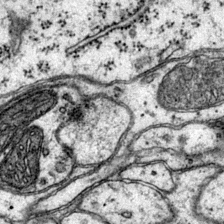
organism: Mouse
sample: Primary visual cortex